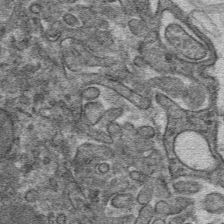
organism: Mouse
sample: Mouse hepatocytes